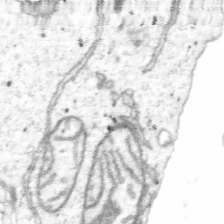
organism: Human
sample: HeLa cells